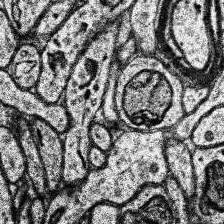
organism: Human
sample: Temporal Lobe